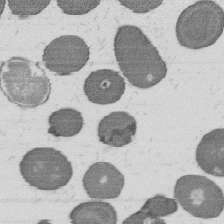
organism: B. subtilis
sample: Bacterial spore